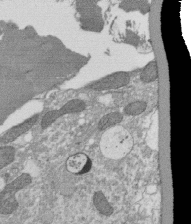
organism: Tetrahymena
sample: Cilia in tetrahymena